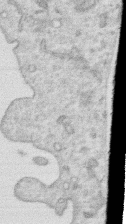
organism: Human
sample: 1205lu cells